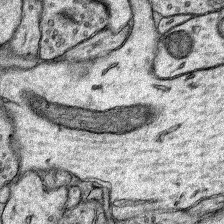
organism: Rat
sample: Hippocampus